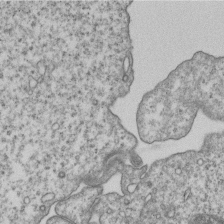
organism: Human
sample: MDA-MB-231 cells